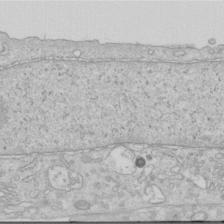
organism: Human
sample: Centriole in RPE cells